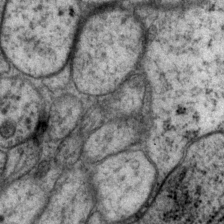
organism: P. pacificus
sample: Pharynx